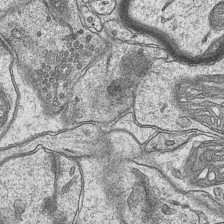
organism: Mouse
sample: CA1 Hippocampus